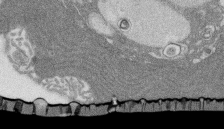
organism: Rat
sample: Salivary granule